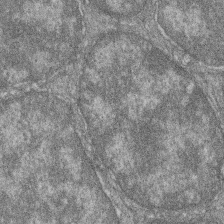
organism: Zebrafish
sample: Cilia; retinal pigment epithelium